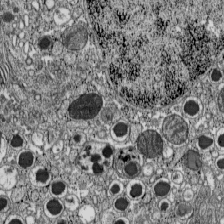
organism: C57BL Mouse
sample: Pancreatic islet